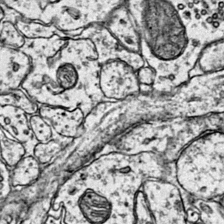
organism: Mouse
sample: Primary visual cortex